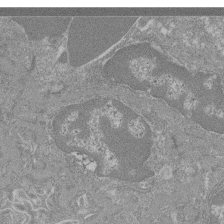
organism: Mouse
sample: Glomerulus